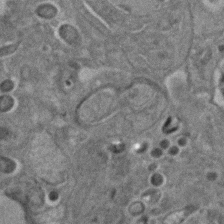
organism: C. elegans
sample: C. elegans embryo